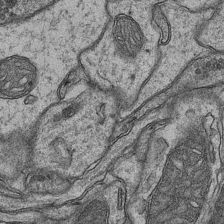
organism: Mouse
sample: CA1 Hippocampus